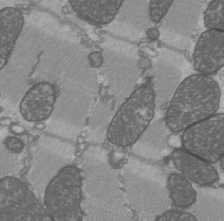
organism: C57BL Mouse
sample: Heart